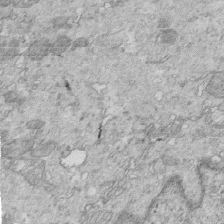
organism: Mouse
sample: Multiciliated cells